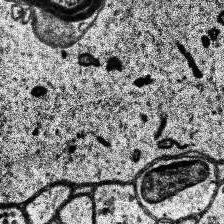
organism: Human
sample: Temporal Lobe